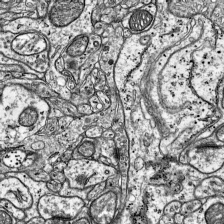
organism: Mouse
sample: Visual Cortex